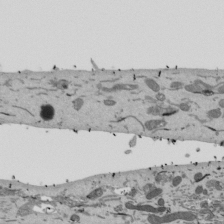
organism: Mouse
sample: ED-1 cell nuclei; centrioles